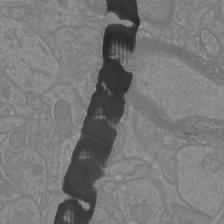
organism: Mouse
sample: Cortical neurons